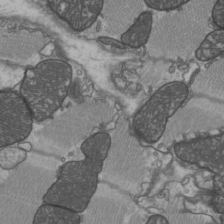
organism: C57BL Mouse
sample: Heart